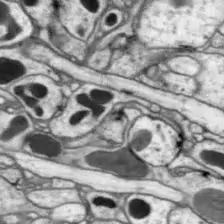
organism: Drosophila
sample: Optic lobe